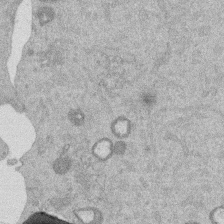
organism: Mouse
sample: Dividing mouse embryo 1 cell stage